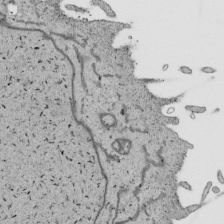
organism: Human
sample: Mitochondria in HCT116 cells